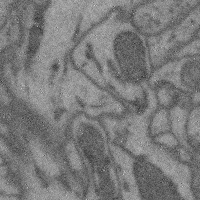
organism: Mouse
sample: Cerebral cortex